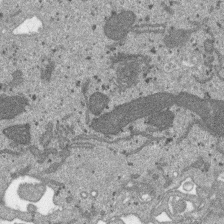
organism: Human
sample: Lung epithelial cells infected with SARS-CoV-2